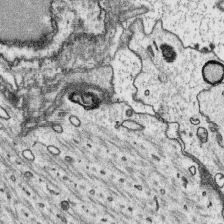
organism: Platynereis dumerilii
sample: Parapodia